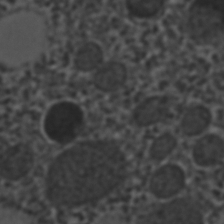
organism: C. elegans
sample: C. elegans embryo